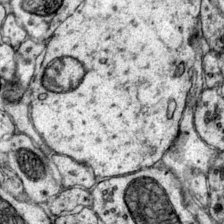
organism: Mouse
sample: Primary visual cortex